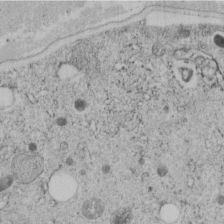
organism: C. elegans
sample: C. elegans embryo early stage